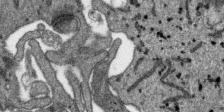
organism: Human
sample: Lung epithelial cells, uninfected (mock) control